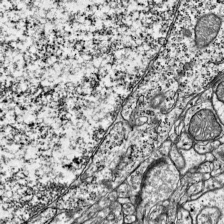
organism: Mouse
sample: Visual Cortex